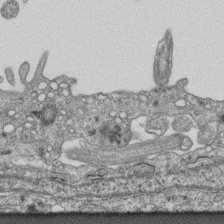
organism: Mouse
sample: Centriole in ependymal cells